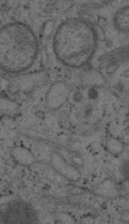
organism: Human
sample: HeLa cells